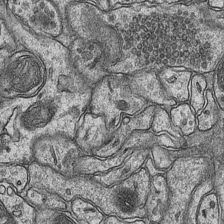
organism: Mouse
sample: CA1 Hippocampus